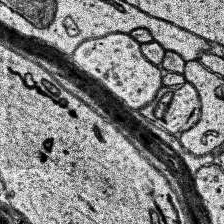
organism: Human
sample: Temporal Lobe